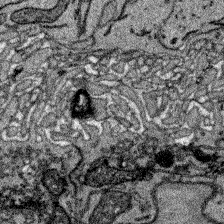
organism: Zebrafish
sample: Larval olfactory bulb